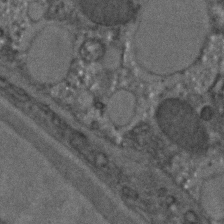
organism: C. elegans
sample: C. elegans embryo